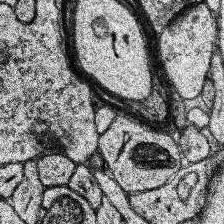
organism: Human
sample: Temporal Lobe